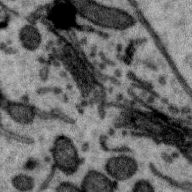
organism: Zebra finch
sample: Brain